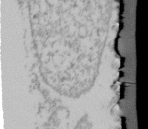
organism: Human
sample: U2-OS cells